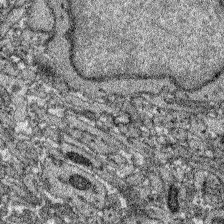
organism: Zebrafish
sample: Larval olfactory bulb